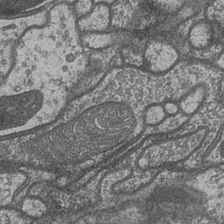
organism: Drosophila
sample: Optic medulla